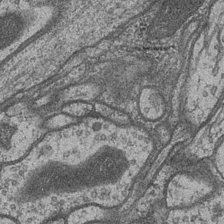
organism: Drosophila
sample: Optic medulla